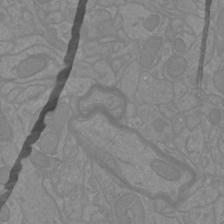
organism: Mouse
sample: Cortical neurons